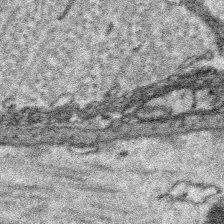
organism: Platynereis dumerilii